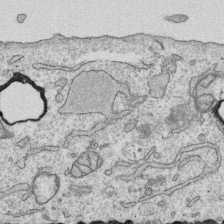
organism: Human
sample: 1205lu cells